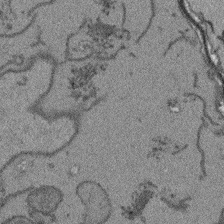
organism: Arabidopsis thaliana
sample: Root tip